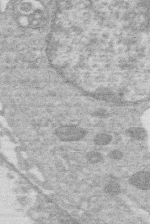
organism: Human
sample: Macrophage cells